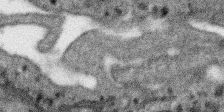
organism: Human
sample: Lung epithelial cells infected with SARS-CoV-2